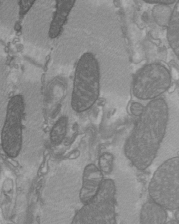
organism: C57BL Mouse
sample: Heart